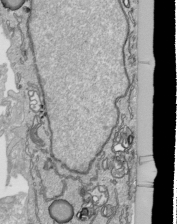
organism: Human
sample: Mitochondria in HCT116 cells